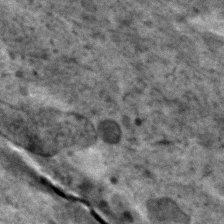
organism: Human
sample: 1205lu cells